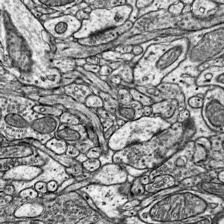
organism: Mouse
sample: Visual Cortex